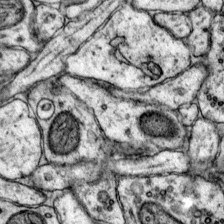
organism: Mouse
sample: Primary visual cortex